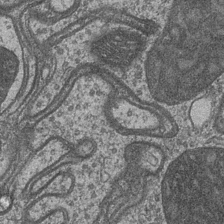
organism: Drosophila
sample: Optic medulla